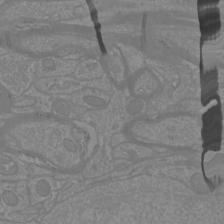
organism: Mouse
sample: Cortical neurons